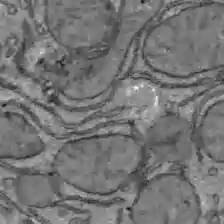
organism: C57BL Mouse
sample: Liver